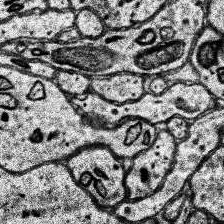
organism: Human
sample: Temporal Lobe